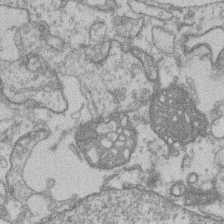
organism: Mouse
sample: T cell stromal cell synapse